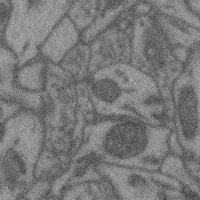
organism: Mouse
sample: Cerebral cortex